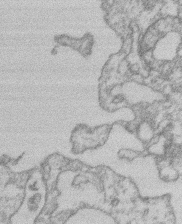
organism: Mouse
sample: T cell stromal cell synapse